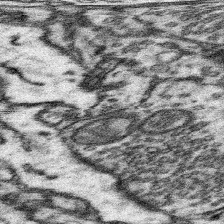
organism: Mouse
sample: Somatosensory cortex neuropil